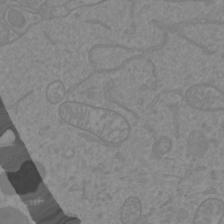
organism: Mouse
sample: Cortical neurons